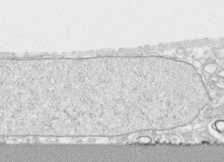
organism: Human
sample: CRL-1474